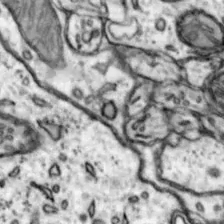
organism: Mouse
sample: Nucleus accumbens